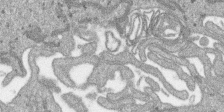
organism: Human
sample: Lung epithelial cells infected with SARS-CoV-2